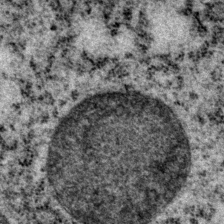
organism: P. pacificus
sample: Pharynx